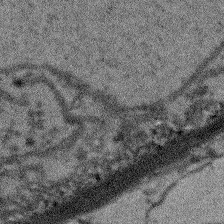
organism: Arabidopsis thaliana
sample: Root tip